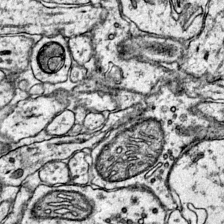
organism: Mouse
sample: Primary visual cortex